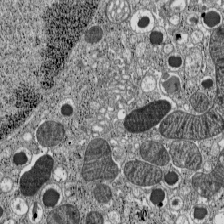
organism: C57BL Mouse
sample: Pancreatic islet